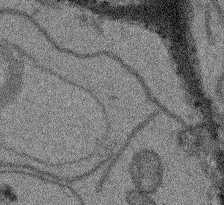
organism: Arabidopsis thaliana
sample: Root tip